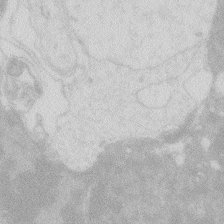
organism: Zebrafish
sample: Macrophage